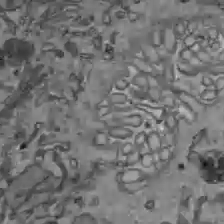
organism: C57BL Mouse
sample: Liver